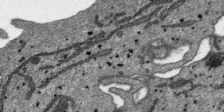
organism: Human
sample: Lung epithelial cells, uninfected (mock) control